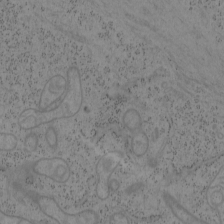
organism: Mouse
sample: OT-I killer T cells with ID8 ovarian cancer cells